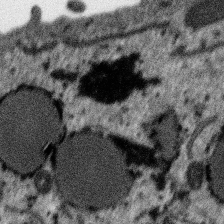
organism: Human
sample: Lung epithelial cells infected with SARS-CoV-2